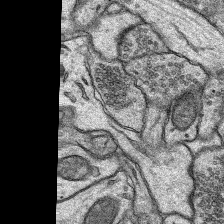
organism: Rat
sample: Hippocampus